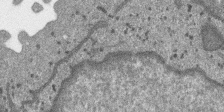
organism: Human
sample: Lung epithelial cells infected with SARS-CoV-2